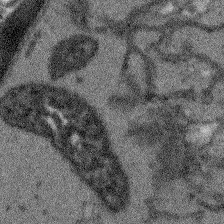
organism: Arabidopsis thaliana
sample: Root tip